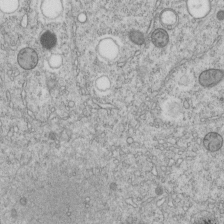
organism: C. elegans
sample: C. elegans embryo early stage